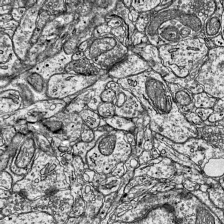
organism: Mouse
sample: Visual Cortex